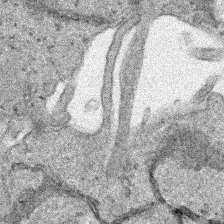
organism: Human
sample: Mitochondria in HCT116 cells